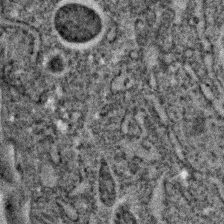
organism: C. elegans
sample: C. elegans embryo